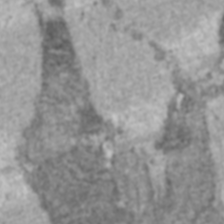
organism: C57BL Mouse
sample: Heart